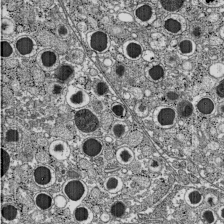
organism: C57BL Mouse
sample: Pancreatic islet